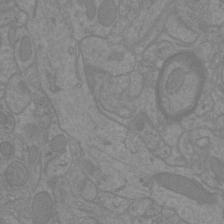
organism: Mouse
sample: Cortical neurons